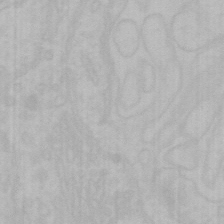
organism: Mouse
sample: Choroid plexus